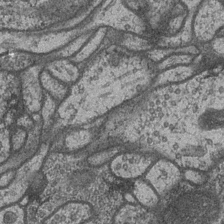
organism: Drosophila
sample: Optic medulla